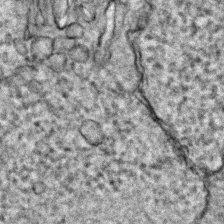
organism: Zebrafish